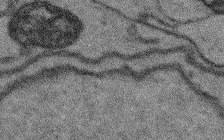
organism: Arabidopsis thaliana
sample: Root tip